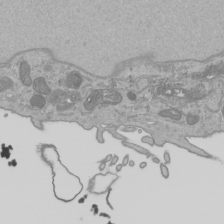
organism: Human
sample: Mitochondria in HCT116 cells